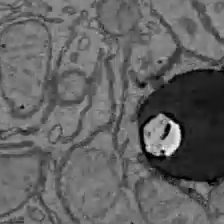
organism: C57BL Mouse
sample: Liver